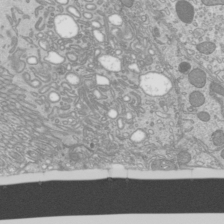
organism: Mouse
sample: Cilia; mouse epididymis